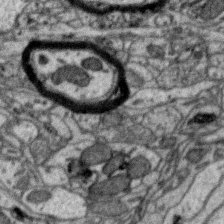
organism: Zebra finch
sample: Brain